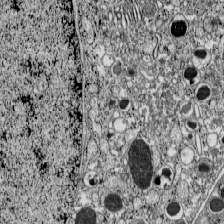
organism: C57BL Mouse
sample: Pancreatic islet